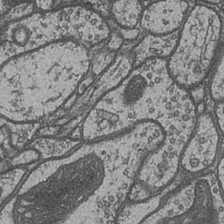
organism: Drosophila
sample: Optic medulla